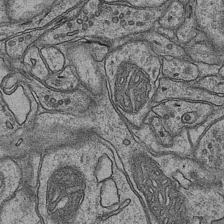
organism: Mouse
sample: CA1 Hippocampus